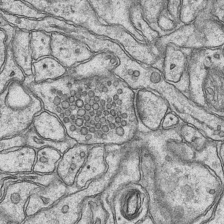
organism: Mouse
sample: CA1 Hippocampus